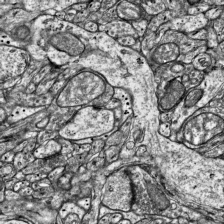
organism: Mouse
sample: Visual Cortex